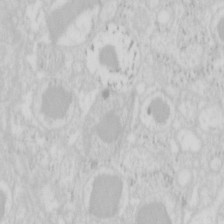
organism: Mouse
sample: Pancreas